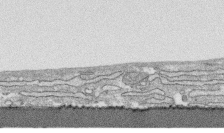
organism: Human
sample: CRL-1474